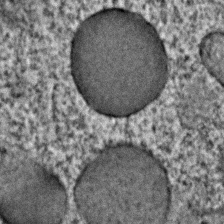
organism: C. elegans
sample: C. elegans embryo